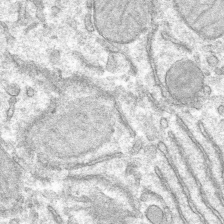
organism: Mouse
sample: Mouse hepatocytes